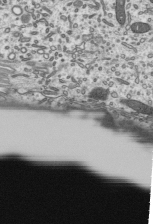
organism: Mouse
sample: Mouse epididymis efferent ductule cilia